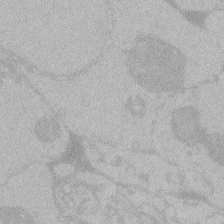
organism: Zebrafish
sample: Macrophage infected with Toxoplasma gondii